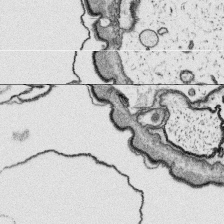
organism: Platynereis dumerilii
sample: Parapodia